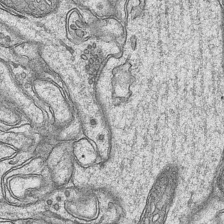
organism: Mouse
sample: CA1 Hippocampus